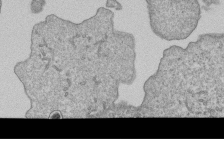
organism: Human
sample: MDA-MB-231 cells